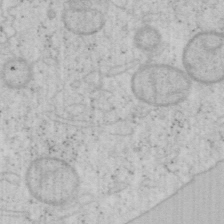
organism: Human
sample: HeLa cells